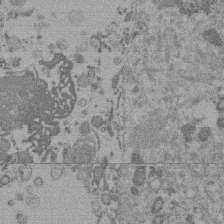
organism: Mouse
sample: Dividing mouse embryo 1 cell stage